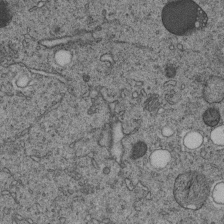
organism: C. elegans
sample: C. elegans embryo early stage